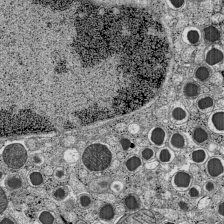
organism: C57BL Mouse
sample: Pancreatic islet